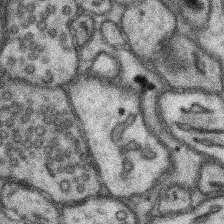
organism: Mouse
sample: Somatosensory cortex neuropil